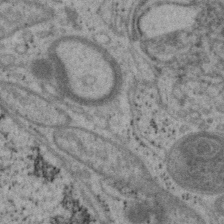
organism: Human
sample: HeLa cells